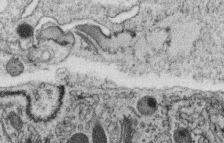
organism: C. elegans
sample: C. elegans oocyte; sperm cells